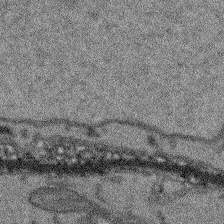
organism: Arabidopsis thaliana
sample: Root tip